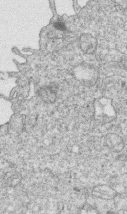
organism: Human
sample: HeLa cell HIV synapse